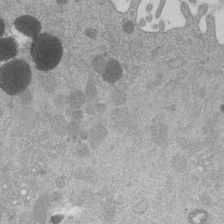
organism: Mouse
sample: Dividing mouse embryo 1 cell stage